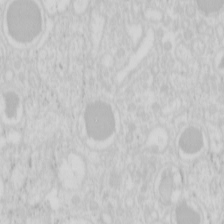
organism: Mouse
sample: Pancreas